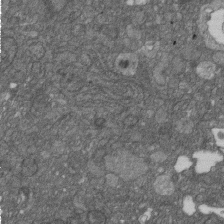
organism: Drosophila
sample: Nephrocyte